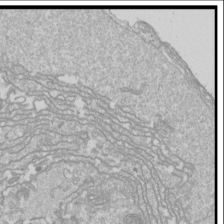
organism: Drosophila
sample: Cell division; meiosis; drosophila spermatocytes